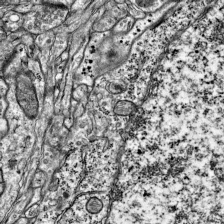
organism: Mouse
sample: Visual Cortex